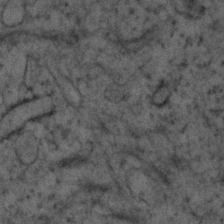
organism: Human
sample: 1205lu cells